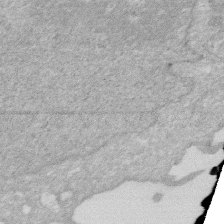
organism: Human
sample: HIV infected U937 cells